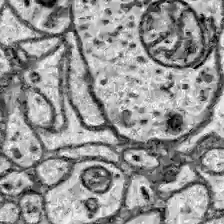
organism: Zebrafish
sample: Brain